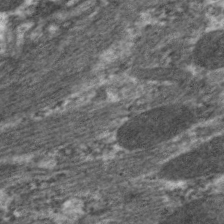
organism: C. elegans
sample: Pharynx